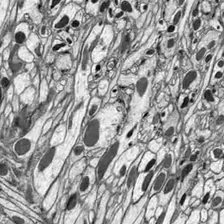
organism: Drosophila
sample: Optic lobe